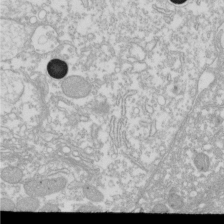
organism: Xenopus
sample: Cilia; centrioles in frog embryo cells